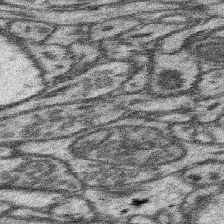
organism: Mouse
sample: Somatosensory cortex neuropil